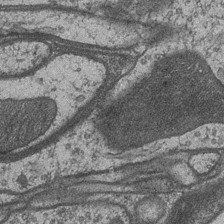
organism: Drosophila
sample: Optic medulla